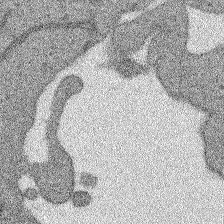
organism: Human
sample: HeLa cells